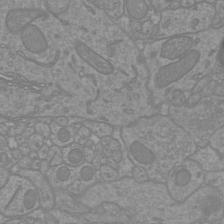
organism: Mouse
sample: Cortical neurons